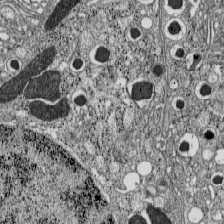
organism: C57BL Mouse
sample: Pancreatic islet